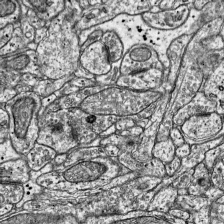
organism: Mouse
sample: Visual Cortex